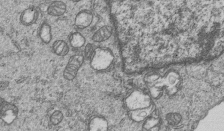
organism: Human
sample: MDA-MB-231 cells